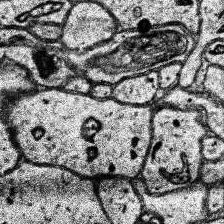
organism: Human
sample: Temporal Lobe